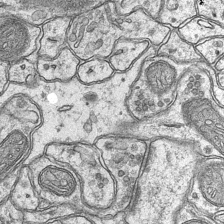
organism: Mouse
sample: CA1 Hippocampus